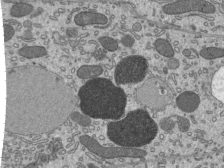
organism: Mouse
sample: Mouse epididymis efferent ductule cilia